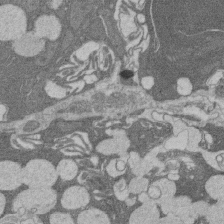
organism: Rat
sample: Salivary granule